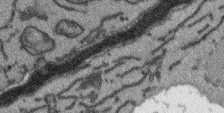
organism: Arabidopsis thaliana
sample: Root tip